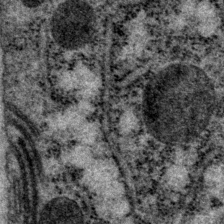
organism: P. pacificus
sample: Pharynx